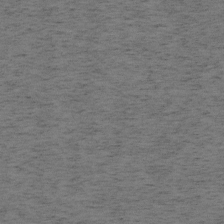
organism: Mouse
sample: OT-I killer T cells with ID8 ovarian cancer cells